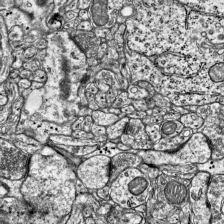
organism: Mouse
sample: Visual Cortex